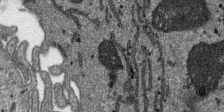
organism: Human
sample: Lung epithelial cells infected with SARS-CoV-2